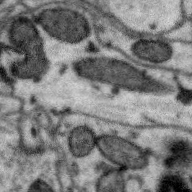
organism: Zebra finch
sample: Brain